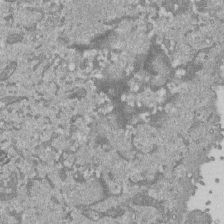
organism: Mouse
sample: ED-1 cell nuclei; centrioles